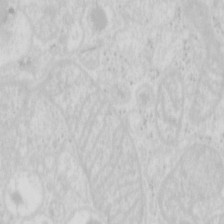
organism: Mouse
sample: Pancreas